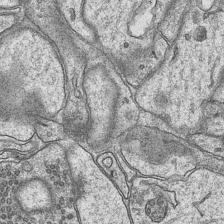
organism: Mouse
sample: CA1 Hippocampus